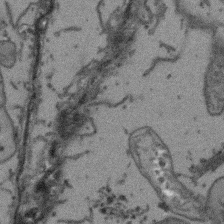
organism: Arabidopsis thaliana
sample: Root tip